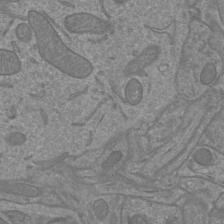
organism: Mouse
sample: Cortical neurons